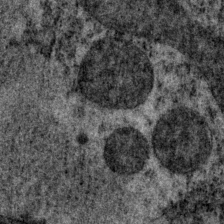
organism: P. pacificus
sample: Pharynx